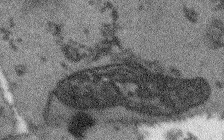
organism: Arabidopsis thaliana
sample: Root tip